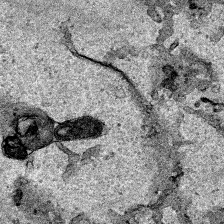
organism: Human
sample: Mitochondria in HCT116 cells